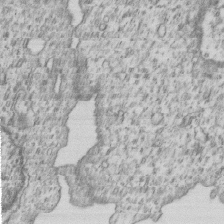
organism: Human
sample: MDA-MB-231 cells